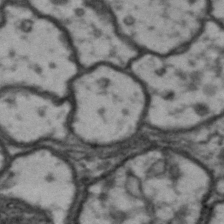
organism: Drosophila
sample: Brain